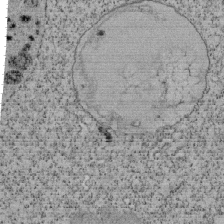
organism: Tetrahymena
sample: Cilia in tetrahymena